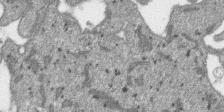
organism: Human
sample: Lung epithelial cells infected with SARS-CoV-2